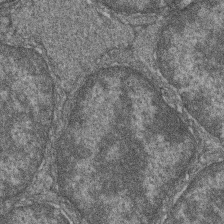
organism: Zebrafish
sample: Cilia; retinal pigment epithelium